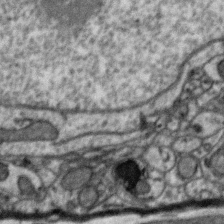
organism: Zebra finch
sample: Brain